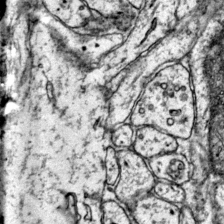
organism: Mouse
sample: Primary visual cortex